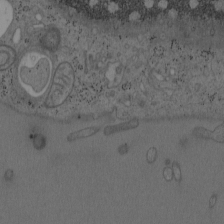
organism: Mouse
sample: OT-I killer T cells with ID8 ovarian cancer cells